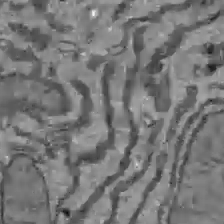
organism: C57BL Mouse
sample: Liver